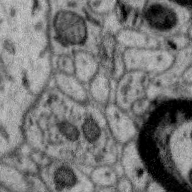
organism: Zebra finch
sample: Brain